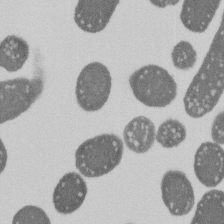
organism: E. coli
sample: Bacterial nucleoid